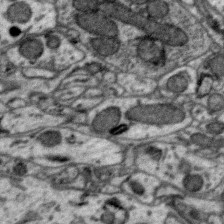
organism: Zebra finch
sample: Brain